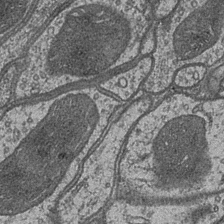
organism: Drosophila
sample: Optic medulla